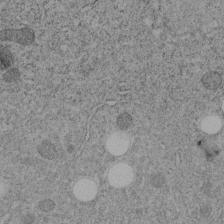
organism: C. elegans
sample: C. elegans embryo early stage